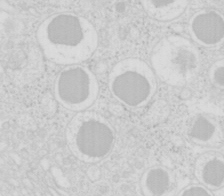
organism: Mouse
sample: Pancreas